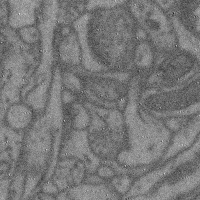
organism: Mouse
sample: Cerebral cortex